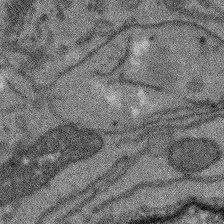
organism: Arabidopsis thaliana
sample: Root tip